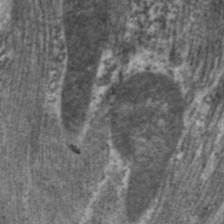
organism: C. elegans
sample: Pharynx